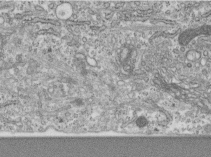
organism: Human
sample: Centriole in RPE cells